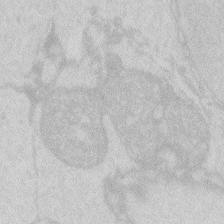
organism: Zebrafish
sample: Macrophage